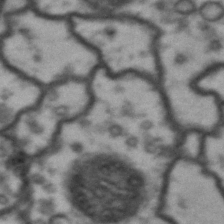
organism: Drosophila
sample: Brain